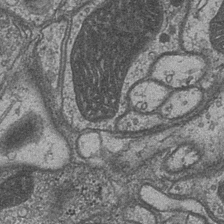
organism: Drosophila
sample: Optic medulla